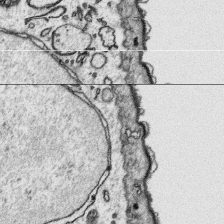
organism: Platynereis dumerilii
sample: Parapodia